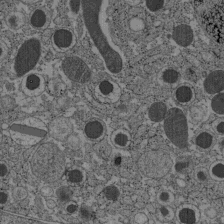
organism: C57BL Mouse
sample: Pancreatic islet